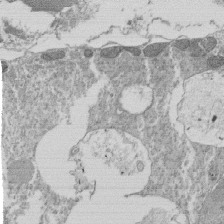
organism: Tetrahymena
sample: Cilia in tetrahymena